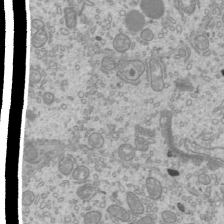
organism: Mouse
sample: Cilia; mouse epididymis